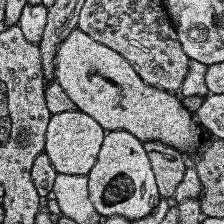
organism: Human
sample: Temporal Lobe